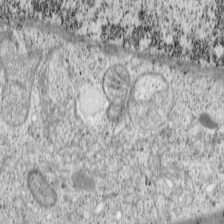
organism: African green monkey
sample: COS-7 cells